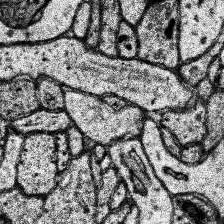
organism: Human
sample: Temporal Lobe